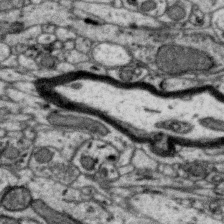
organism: Zebra finch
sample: Brain